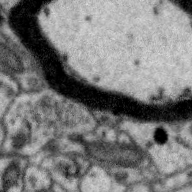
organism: Zebra finch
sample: Brain